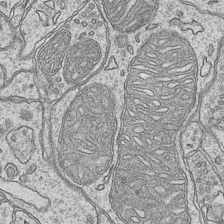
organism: Mouse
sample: CA1 Hippocampus